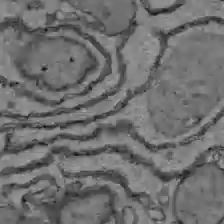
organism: C57BL Mouse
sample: Liver